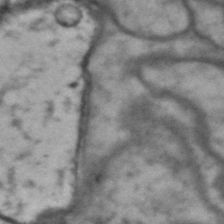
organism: Drosophila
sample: Brain